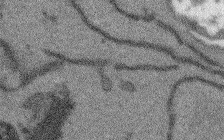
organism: Arabidopsis thaliana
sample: Root tip